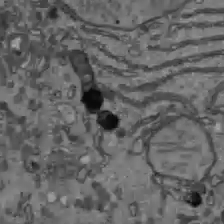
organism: C57BL Mouse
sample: Liver